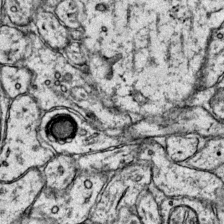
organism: Mouse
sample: Primary visual cortex